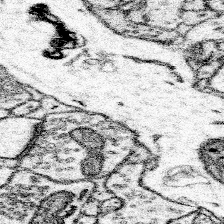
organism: Mouse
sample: Somatosensory cortex neuropil